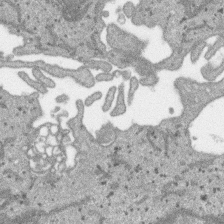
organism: Human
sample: Lung epithelial cells infected with SARS-CoV-2